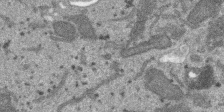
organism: Human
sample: Lung epithelial cells infected with SARS-CoV-2